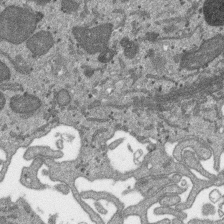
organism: Human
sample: Lung epithelial cells infected with SARS-CoV-2